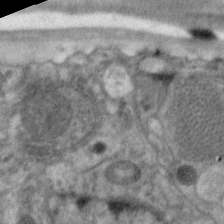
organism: C. elegans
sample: Pharynx